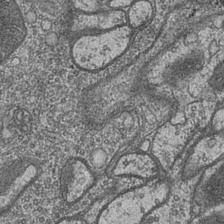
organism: Drosophila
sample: Optic medulla